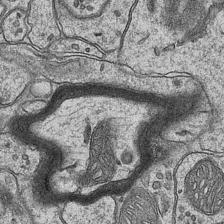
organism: Mouse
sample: CA1 Hippocampus